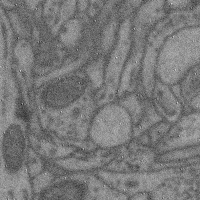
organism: Mouse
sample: Cerebral cortex